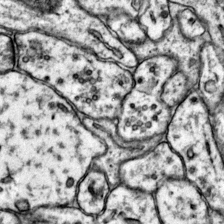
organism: Mouse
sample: Primary visual cortex